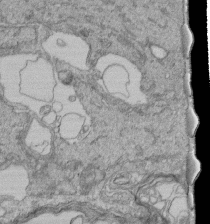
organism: Human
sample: Retinal organoid Rod and Cone cells